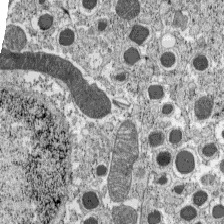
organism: C57BL Mouse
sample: Pancreatic islet